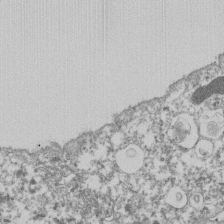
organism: Dictyostelium discoideum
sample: Dictyostelium multivesicular bodies